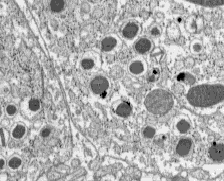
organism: C57BL Mouse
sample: Pancreatic islet